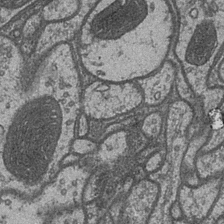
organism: Drosophila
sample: Optic medulla